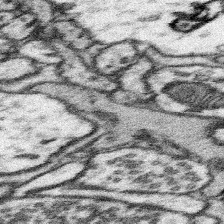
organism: Mouse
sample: Somatosensory cortex neuropil